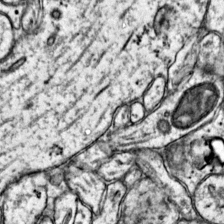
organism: Mouse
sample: Primary visual cortex